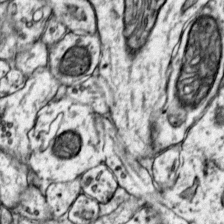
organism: Mouse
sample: Primary visual cortex